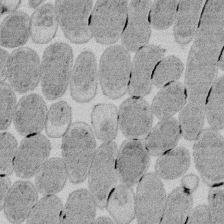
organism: E. coli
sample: Bacterial nucleoid